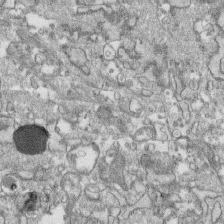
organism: Human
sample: CRL-1474